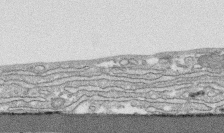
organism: Human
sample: CRL-1474